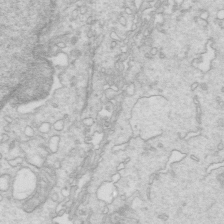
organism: Mouse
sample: Multiciliated cells